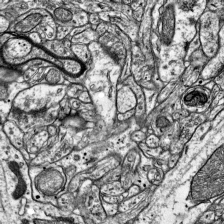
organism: Mouse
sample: Visual Cortex